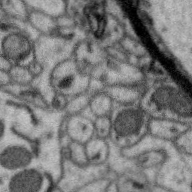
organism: Zebra finch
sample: Brain